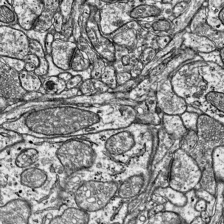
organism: Mouse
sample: Visual Cortex